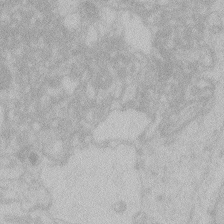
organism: Zebrafish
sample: Macrophage infected with Toxoplasma gondii